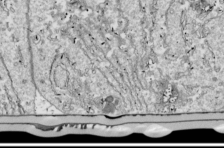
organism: Drosophila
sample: Cell division; meiosis; drosophila spermatocytes